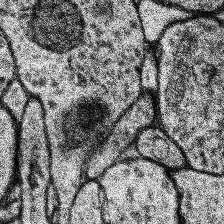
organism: Human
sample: Temporal Lobe